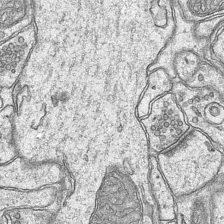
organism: Mouse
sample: CA1 Hippocampus